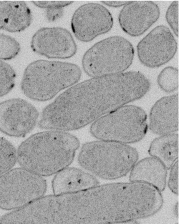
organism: E. coli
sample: Bacterial nucleoid